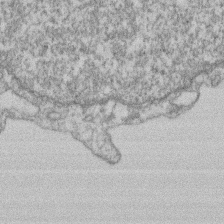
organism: Mouse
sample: T cell stromal cell synapse